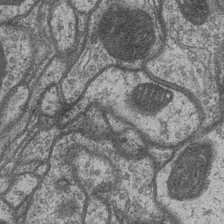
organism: Drosophila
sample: Optic medulla